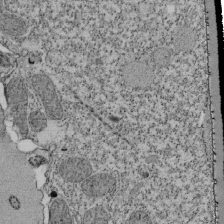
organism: Tetrahymena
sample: Cilia in tetrahymena